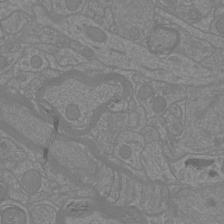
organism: Mouse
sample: Cortical neurons